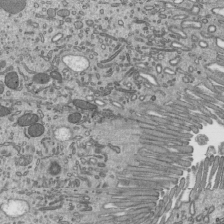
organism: Mouse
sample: Mouse epididymis efferent ductule cilia